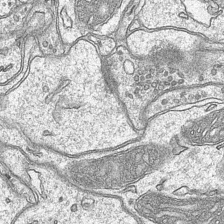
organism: Mouse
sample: CA1 Hippocampus